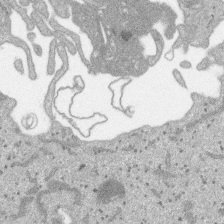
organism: Human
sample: Lung epithelial cells infected with SARS-CoV-2